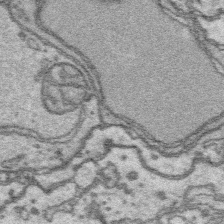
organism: Platynereis dumerilii